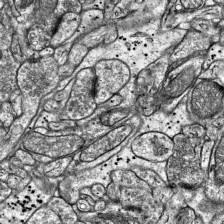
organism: Mouse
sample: Visual Cortex